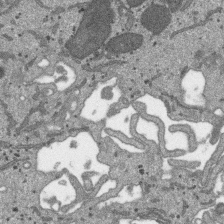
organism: Human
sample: Lung epithelial cells infected with SARS-CoV-2